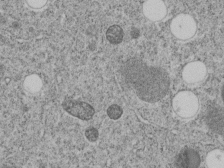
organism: C. elegans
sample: C. elegans embryo early stage